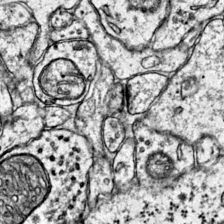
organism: Mouse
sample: Primary visual cortex